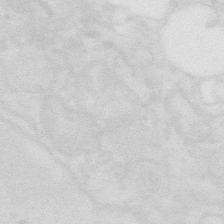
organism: Human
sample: HeLa cells